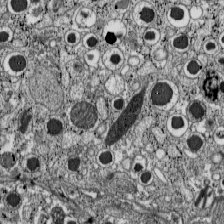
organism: C57BL Mouse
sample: Pancreatic islet